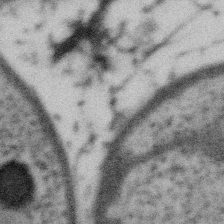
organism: Gemmata obscuriglobus